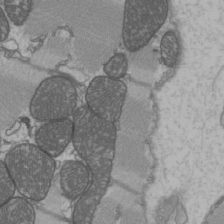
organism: C57BL Mouse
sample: Heart